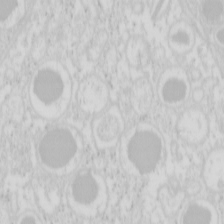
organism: Mouse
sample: Pancreas